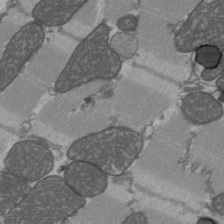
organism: C57BL Mouse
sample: Heart